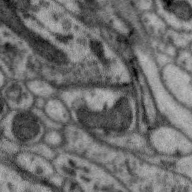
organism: Zebra finch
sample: Brain